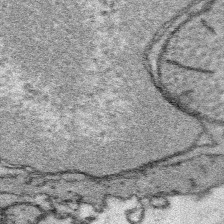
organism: Platynereis dumerilii